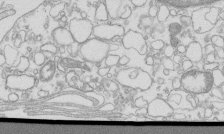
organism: Mouse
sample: Macrophages